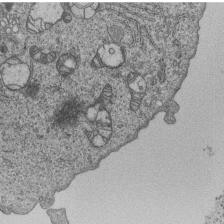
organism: Human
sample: MDA-MB-231 cells